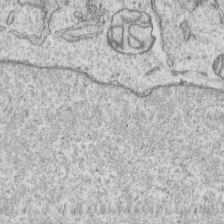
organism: Human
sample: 1205lu cells